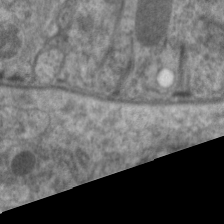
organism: C. elegans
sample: Pharynx